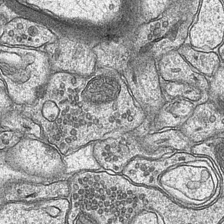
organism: Mouse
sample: CA1 Hippocampus